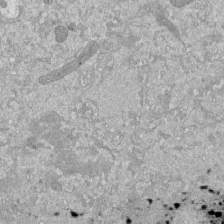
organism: Mouse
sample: ED-1 cell nuclei; centrioles